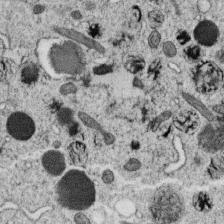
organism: C. elegans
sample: C. elegans oocyte; sperm cells